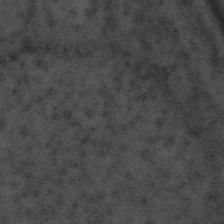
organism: Tuwongella immobilis